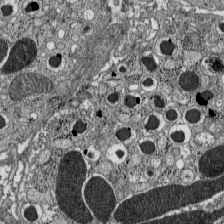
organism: C57BL Mouse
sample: Pancreatic islet